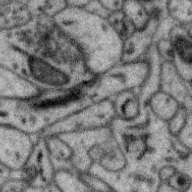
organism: Zebra finch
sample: Brain